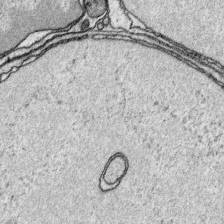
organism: Platynereis dumerilii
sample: Parapodia